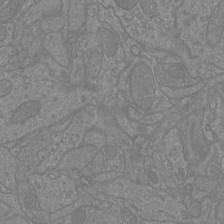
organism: Mouse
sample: Cortical neurons